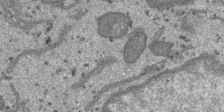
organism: Human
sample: Lung epithelial cells infected with SARS-CoV-2